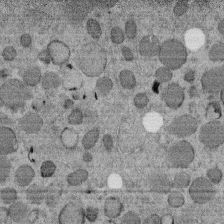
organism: C. elegans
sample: C. elegans embryo early stage